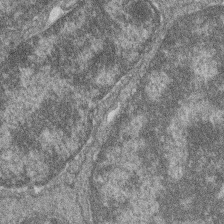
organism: Zebrafish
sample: Cilia; retinal pigment epithelium